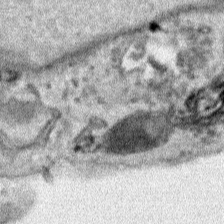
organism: Human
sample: Mitochondria in HCT116 cells